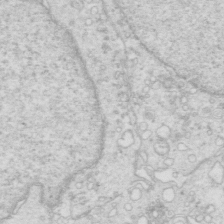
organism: Mouse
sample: Multiciliated cells